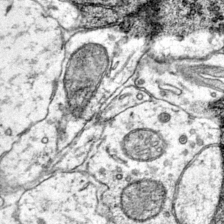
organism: Mouse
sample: Primary visual cortex